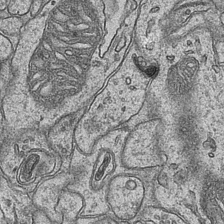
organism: Mouse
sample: CA1 Hippocampus